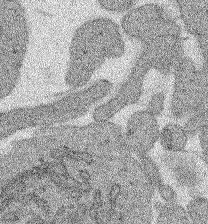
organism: Human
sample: HeLa cells